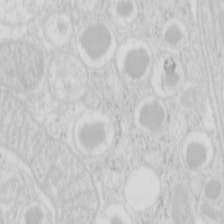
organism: Mouse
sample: Pancreas